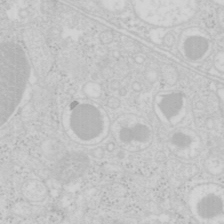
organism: Mouse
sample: Pancreas